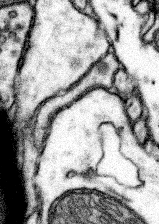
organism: Mouse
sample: Somatosensory cortex neuropil